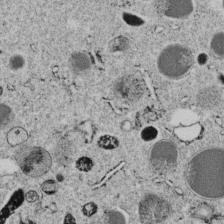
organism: C. elegans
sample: C. elegans embryo early stage